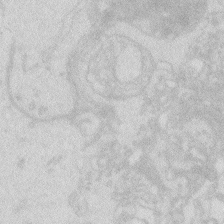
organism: Zebrafish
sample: Macrophage